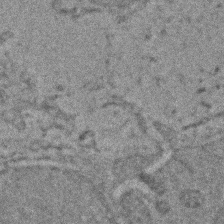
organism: Zebrafish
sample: Zebrafish embryo